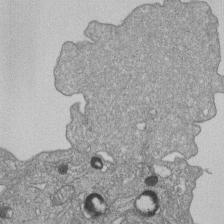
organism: Human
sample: MDA-MB-231 cells